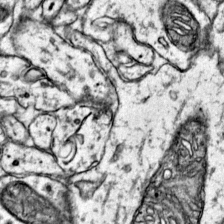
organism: Mouse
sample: Primary visual cortex